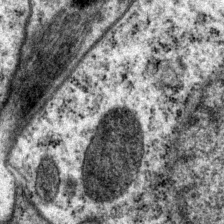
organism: P. pacificus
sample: Pharynx